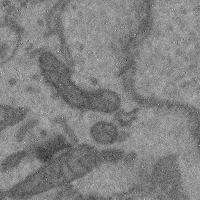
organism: Mouse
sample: Cerebral cortex